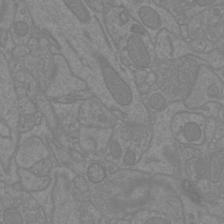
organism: Mouse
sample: Cortical neurons